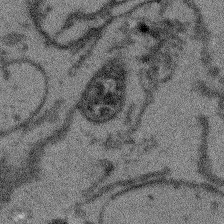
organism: Arabidopsis thaliana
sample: Root tip